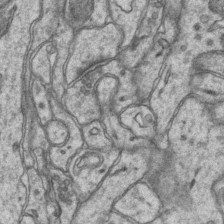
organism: Mouse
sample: CA1 Hippocampus